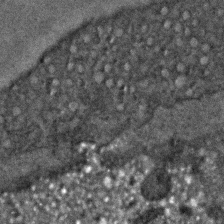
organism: C. elegans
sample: C. elegans embryo